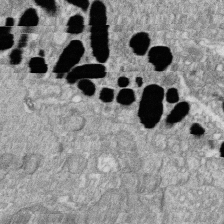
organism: Zebrafish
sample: Cilia; retinal pigment epithelium